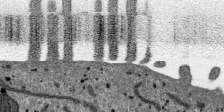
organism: Human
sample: Lung epithelial cells, uninfected (mock) control